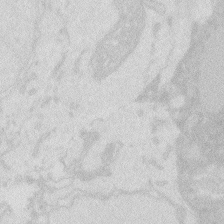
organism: Zebrafish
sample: Macrophage